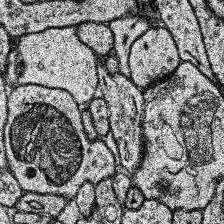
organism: Human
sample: Temporal Lobe